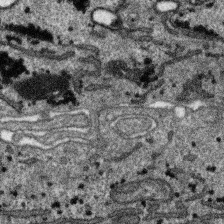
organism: Human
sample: Lung epithelial cells infected with SARS-CoV-2